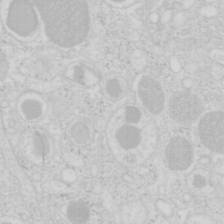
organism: Mouse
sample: Pancreas